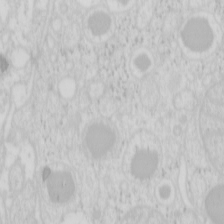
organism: Mouse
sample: Pancreas